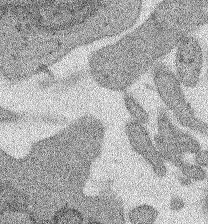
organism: Human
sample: HeLa cells